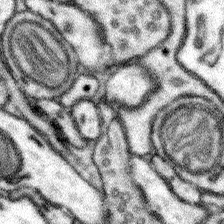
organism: Mouse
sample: Somatosensory cortex neuropil